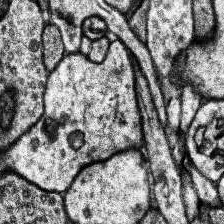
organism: Human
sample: Temporal Lobe